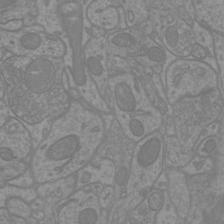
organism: Mouse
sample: Cortical neurons